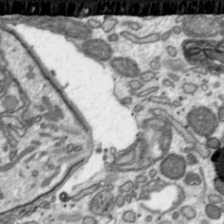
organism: Toxoplasma gondii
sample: Parasites in a vacuole inside a host cell